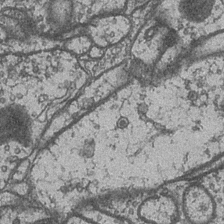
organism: Drosophila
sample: Optic medulla